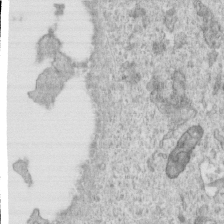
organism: Human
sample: Centriole in RPE cells